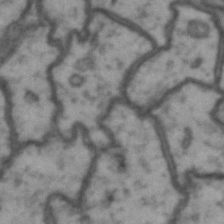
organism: Drosophila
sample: Brain